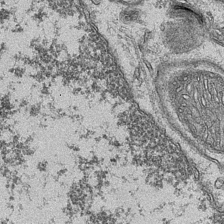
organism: Mouse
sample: CA1 Hippocampus